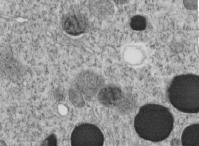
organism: C. elegans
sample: C. elegans embryo early stage